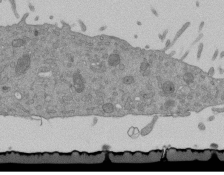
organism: Mouse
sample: ED-1 cell nuclei; centrioles